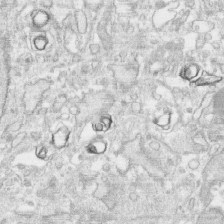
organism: Human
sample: CRL-1474